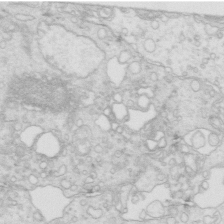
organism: Mouse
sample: Multiciliated cells